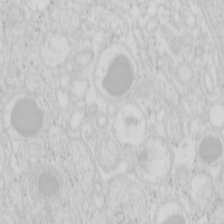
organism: Mouse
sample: Pancreas